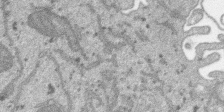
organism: Human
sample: Lung epithelial cells infected with SARS-CoV-2